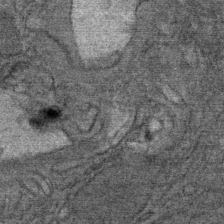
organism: Mouse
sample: Mouse Salivary gland